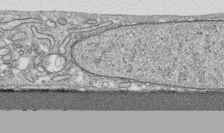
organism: Human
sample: CRL-1474